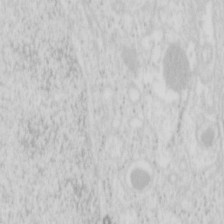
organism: Mouse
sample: Pancreas